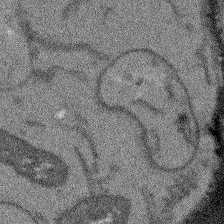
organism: Arabidopsis thaliana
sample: Root tip